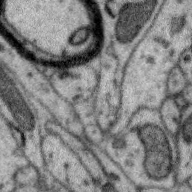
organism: Zebra finch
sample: Brain